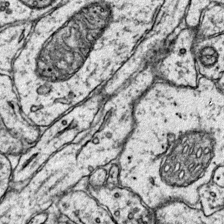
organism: Mouse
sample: Primary visual cortex